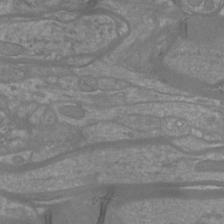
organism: Mouse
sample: Cortical neurons